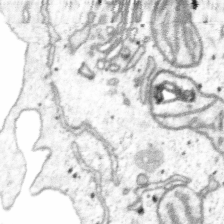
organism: Human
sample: HeLa cells